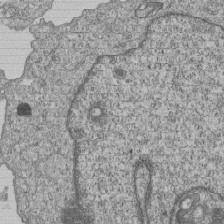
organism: Human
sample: MDA-MB-231 cells